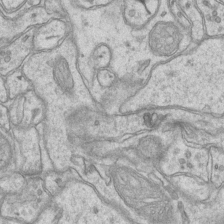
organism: Mouse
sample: CA1 Hippocampus